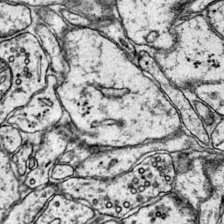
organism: Mouse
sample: Primary visual cortex